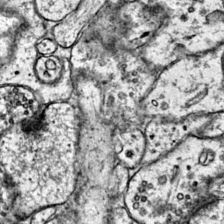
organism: Mouse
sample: Primary visual cortex